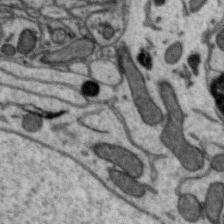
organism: Zebra finch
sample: Brain